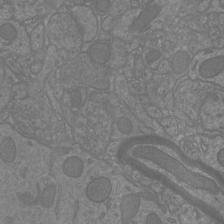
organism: Mouse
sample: Cortical neurons